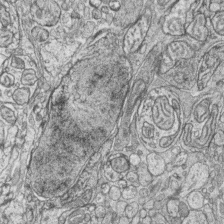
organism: Zebrafish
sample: synaptic ribbons in rod cells and cone cells